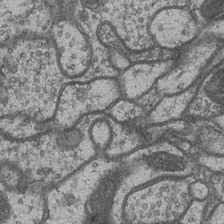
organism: Drosophila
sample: Optic medulla